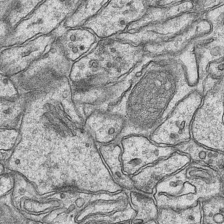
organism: Mouse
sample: CA1 Hippocampus